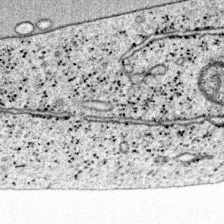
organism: Human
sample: HeLa cells